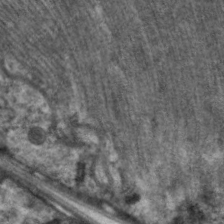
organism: C. elegans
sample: Pharynx